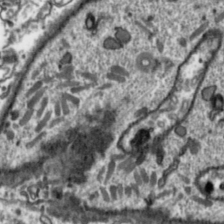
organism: Toxoplasma gondii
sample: Parasites in a vacuole inside a host cell